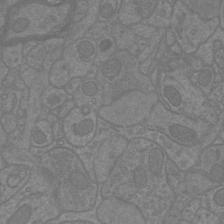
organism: Mouse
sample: Cortical neurons